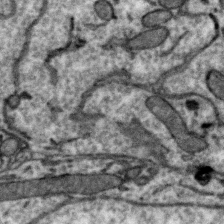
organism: Zebra finch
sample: Brain